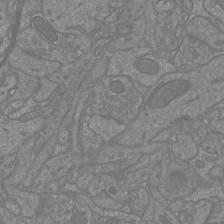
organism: Mouse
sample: Cortical neurons